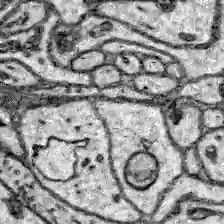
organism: Zebrafish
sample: Brain